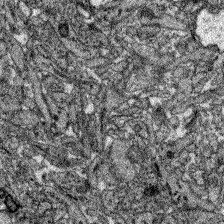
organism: Zebrafish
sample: Larval olfactory bulb